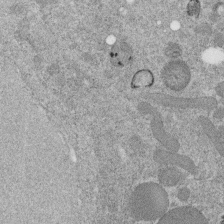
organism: C. elegans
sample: C. elegans embryo early stage